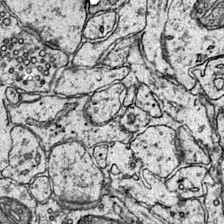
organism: Mouse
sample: Primary visual cortex